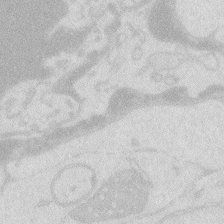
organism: Zebrafish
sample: Macrophage